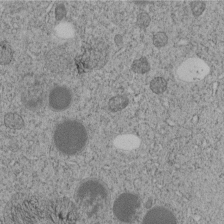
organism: C. elegans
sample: C. elegans embryo early stage